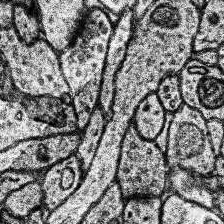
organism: Human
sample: Temporal Lobe